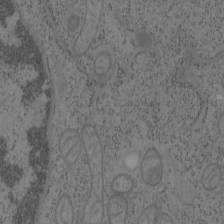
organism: Mouse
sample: OT-I killer T cells with ID8 ovarian cancer cells